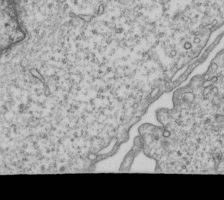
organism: Human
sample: MDA-MB-231 cells